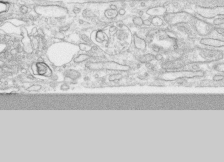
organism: Human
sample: CRL-1474